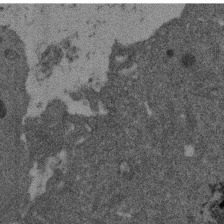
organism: Mouse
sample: Dividing mouse embryo 1 cell stage